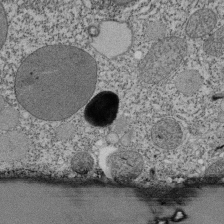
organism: Tetrahymena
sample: Cilia in tetrahymena